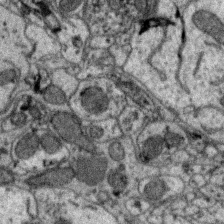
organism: Zebra finch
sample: Brain